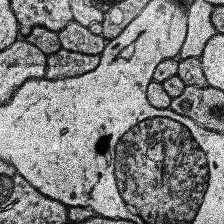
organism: Human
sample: Temporal Lobe